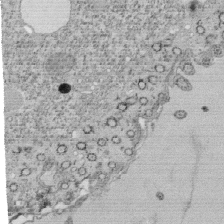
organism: Tetrahymena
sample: Cilia in tetrahymena